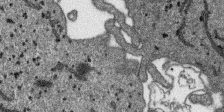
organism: Human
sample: Lung epithelial cells infected with SARS-CoV-2